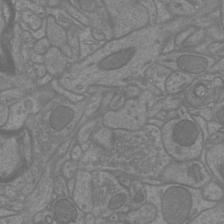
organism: Mouse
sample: Cortical neurons